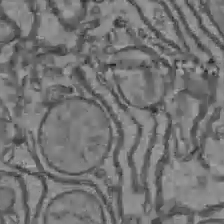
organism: C57BL Mouse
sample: Liver